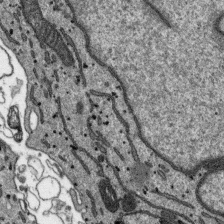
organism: Human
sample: Lung epithelial cells, uninfected (mock) control